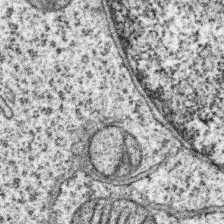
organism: Human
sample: HeLa cells